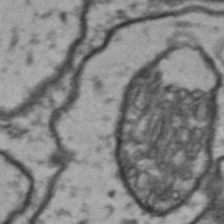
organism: Drosophila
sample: Brain